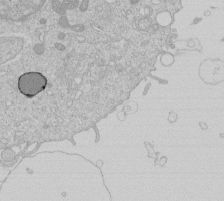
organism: Human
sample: Macrophage cells